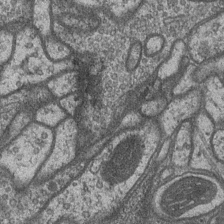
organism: Drosophila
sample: Optic medulla